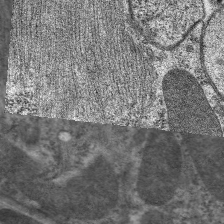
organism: C. elegans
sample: Pharynx